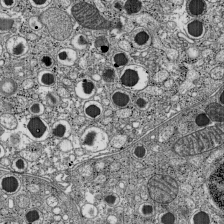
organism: C57BL Mouse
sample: Pancreatic islet